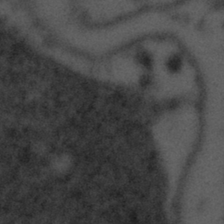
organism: Tuwongella immobilis